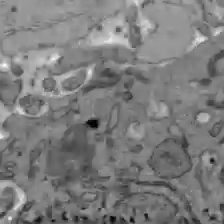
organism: C57BL Mouse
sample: Liver